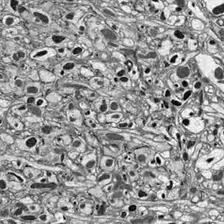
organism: Drosophila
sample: Optic lobe